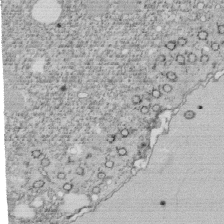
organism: Tetrahymena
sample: Cilia in tetrahymena